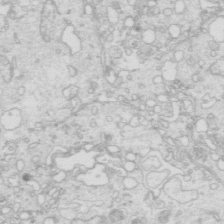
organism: Mouse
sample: Multiciliated cells